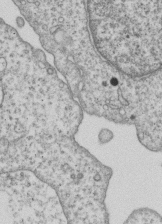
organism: Human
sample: MDA-MB-231 cells